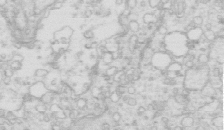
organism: Mouse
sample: Multiciliated cells